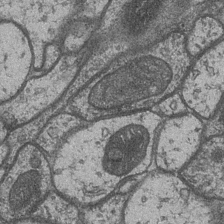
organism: Drosophila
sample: Optic medulla